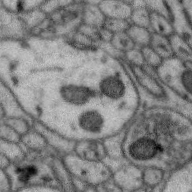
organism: Zebra finch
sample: Brain